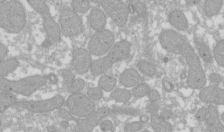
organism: Xenopus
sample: Cilia; centrioles in frog embryo cells